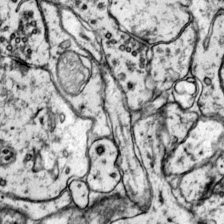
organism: Mouse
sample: Primary visual cortex